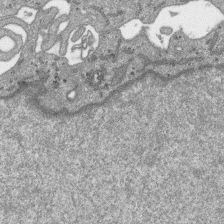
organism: Human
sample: Lung epithelial cells infected with SARS-CoV-2